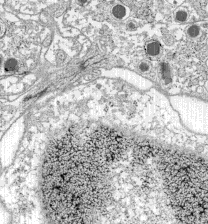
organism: C57BL Mouse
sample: Pancreatic islet